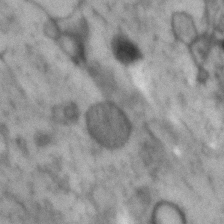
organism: Human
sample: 1205lu cells